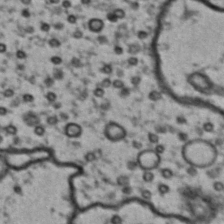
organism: Drosophila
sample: Brain